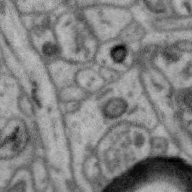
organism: Zebra finch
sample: Brain